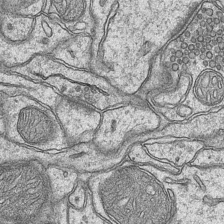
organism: Mouse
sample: CA1 Hippocampus